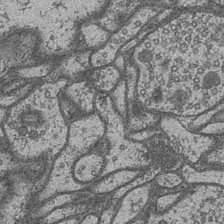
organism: Drosophila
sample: Optic medulla